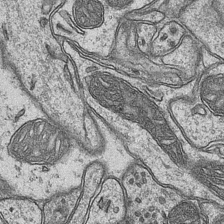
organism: Mouse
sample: CA1 Hippocampus